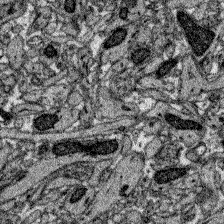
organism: Zebrafish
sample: Larval olfactory bulb